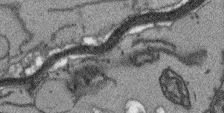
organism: Arabidopsis thaliana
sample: Root tip